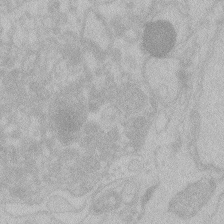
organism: Zebrafish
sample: Macrophage infected with Toxoplasma gondii